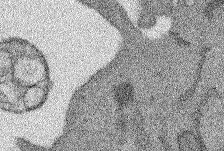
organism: Human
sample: HeLa cells